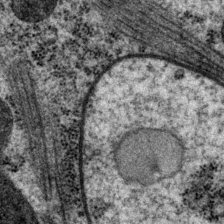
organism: P. pacificus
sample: Pharynx